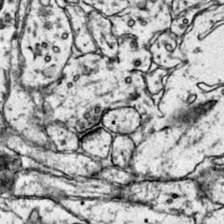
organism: Mouse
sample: Primary visual cortex